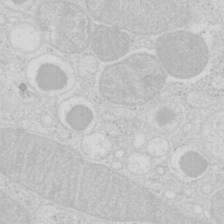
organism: Mouse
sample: Pancreas